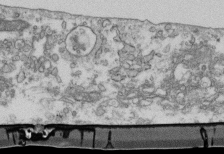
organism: Mouse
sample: Cilia; retinal pigment epithelium